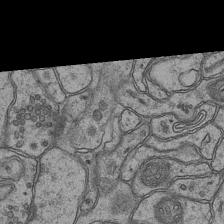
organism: Mouse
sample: CA1 Hippocampus